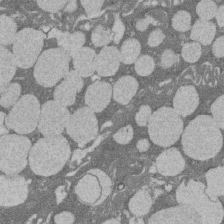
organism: Rat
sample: Salivary granule